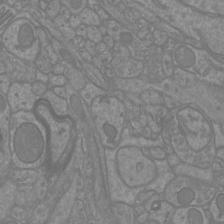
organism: Mouse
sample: Cortical neurons